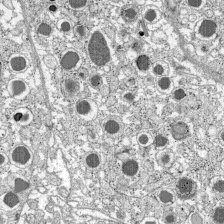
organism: C57BL Mouse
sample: Pancreatic islet